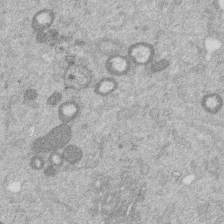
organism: Mouse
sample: Dividing mouse embryo 1 cell stage